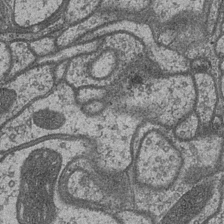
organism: Drosophila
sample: Optic medulla